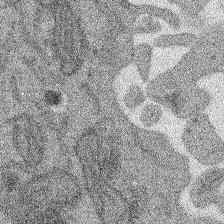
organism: Human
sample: HeLa cells